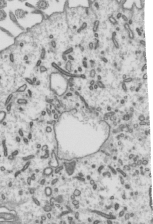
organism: Mouse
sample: Mouse epididymis efferent ductule cilia